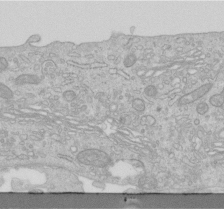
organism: Human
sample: Centriole in RPE cells